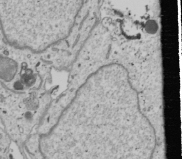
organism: Human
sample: Mitochondria in U2OS cells